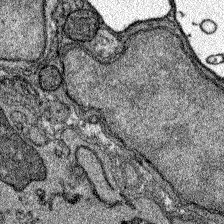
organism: Zebrafish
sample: Larval olfactory bulb